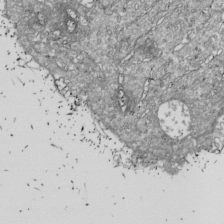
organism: Drosophila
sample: Cell division; meiosis; drosophila spermatocytes